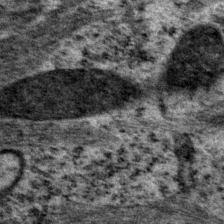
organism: P. pacificus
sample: Pharynx